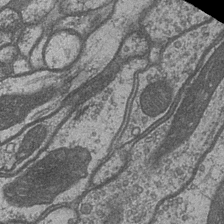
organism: Drosophila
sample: Optic medulla